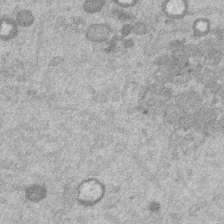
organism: Mouse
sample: Dividing mouse embryo 1 cell stage